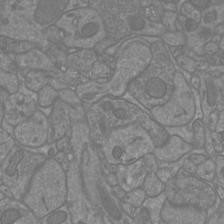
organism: Mouse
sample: Cortical neurons